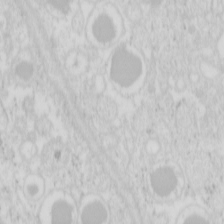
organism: Mouse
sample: Pancreas